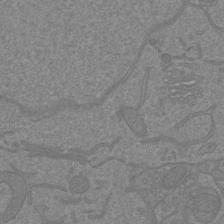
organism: Mouse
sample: Cortical neurons